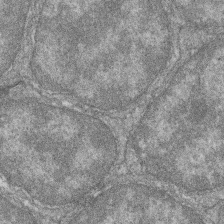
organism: Zebrafish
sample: Cilia; retinal pigment epithelium